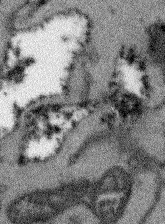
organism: Arabidopsis thaliana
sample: Root tip